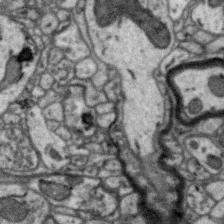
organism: Zebra finch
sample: Brain